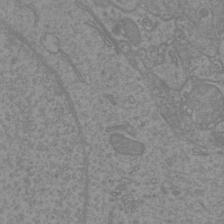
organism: Mouse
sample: Cortical neurons